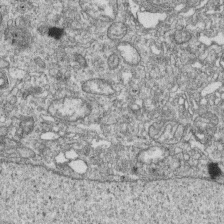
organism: Human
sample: HeLa cell HIV synapse